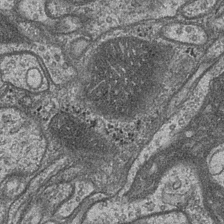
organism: Drosophila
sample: Optic medulla